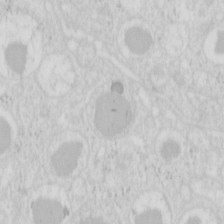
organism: Mouse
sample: Pancreas